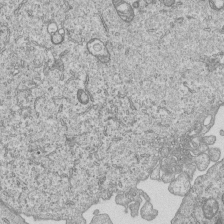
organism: Human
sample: MDA-MB-231 cells